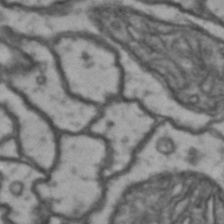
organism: Drosophila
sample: Brain